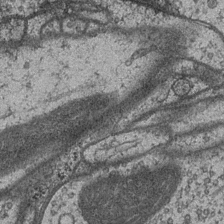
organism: Drosophila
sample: Optic medulla